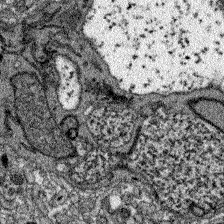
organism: Zebrafish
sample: Larval olfactory bulb